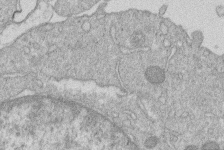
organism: Human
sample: Macrophage cells